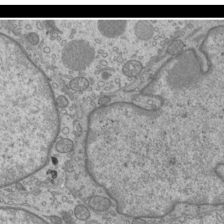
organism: Mouse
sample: Cilia; mouse epididymis